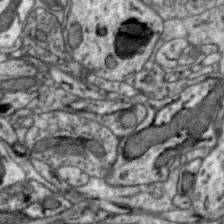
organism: Zebra finch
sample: Brain